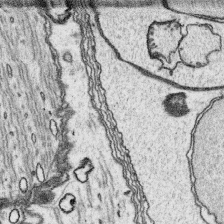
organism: Platynereis dumerilii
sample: Parapodia